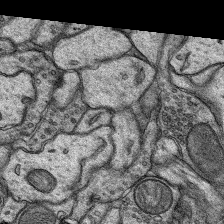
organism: Rat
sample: Hippocampus